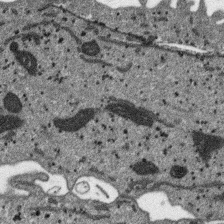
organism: Human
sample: Lung epithelial cells infected with SARS-CoV-2